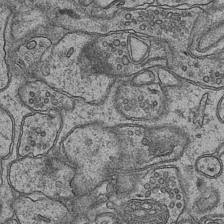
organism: Mouse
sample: CA1 Hippocampus